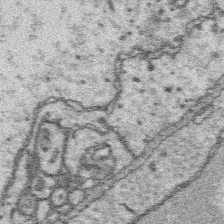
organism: Platynereis dumerilii